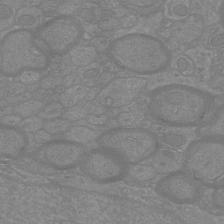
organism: Mouse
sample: Cortical neurons